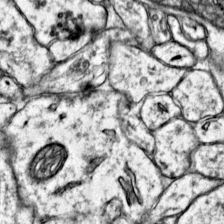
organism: Mouse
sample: Primary visual cortex